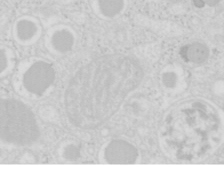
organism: Mouse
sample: Pancreas